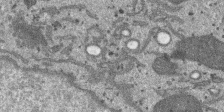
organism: Human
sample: Lung epithelial cells infected with SARS-CoV-2